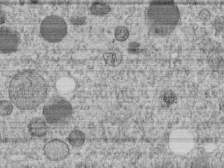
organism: C. elegans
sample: C. elegans embryo early stage